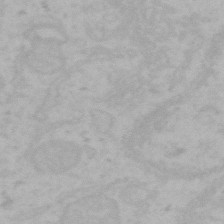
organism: Mouse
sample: Choroid plexus